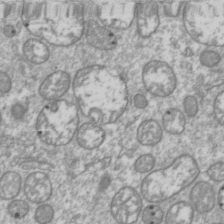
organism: Drosophila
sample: Cell division; meiosis; drosophila spermatocytes